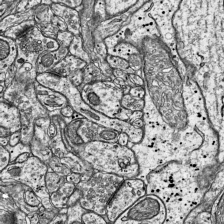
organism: Mouse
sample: Visual Cortex